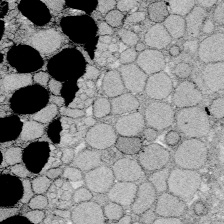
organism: Zebrafish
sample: Whole-Brain